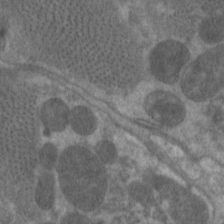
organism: C. elegans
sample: Pharynx